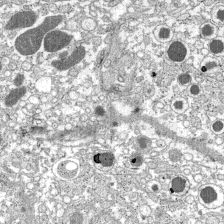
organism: C57BL Mouse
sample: Pancreatic islet